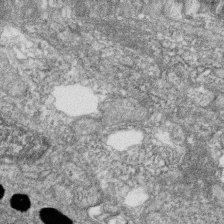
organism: Zebrafish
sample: Cilia; retinal pigment epithelium